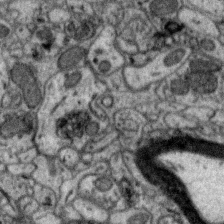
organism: Zebra finch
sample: Brain